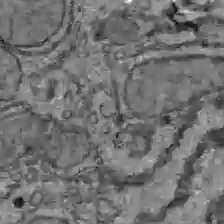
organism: C57BL Mouse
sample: Liver